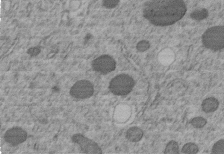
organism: C. elegans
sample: C. elegans embryo early stage